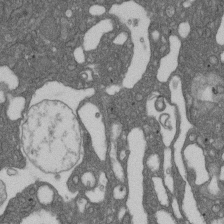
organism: Drosophila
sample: Nephrocyte